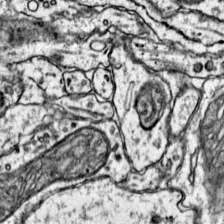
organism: Mouse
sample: Primary visual cortex